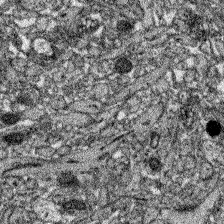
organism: Zebrafish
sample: Larval olfactory bulb